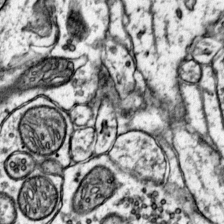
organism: Mouse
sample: Primary visual cortex